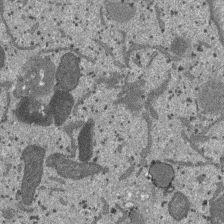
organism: Human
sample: Lung epithelial cells infected with SARS-CoV-2